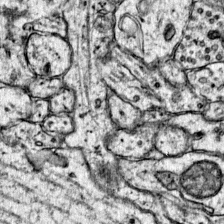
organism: Mouse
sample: Primary visual cortex